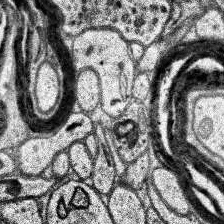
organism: Human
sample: Temporal Lobe